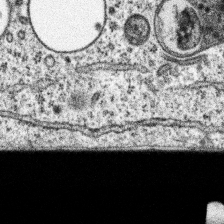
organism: Human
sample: HeLa cells